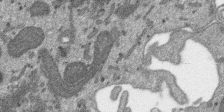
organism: Human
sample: Lung epithelial cells infected with SARS-CoV-2